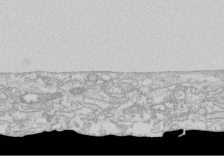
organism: Human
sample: CRL-1474